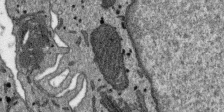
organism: Human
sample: Lung epithelial cells, uninfected (mock) control